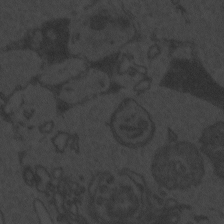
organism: Zebrafish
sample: Macrophage infected with Toxoplasma gondii